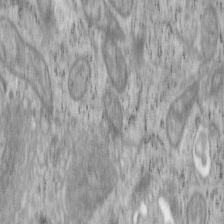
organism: Human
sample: HeLa cells